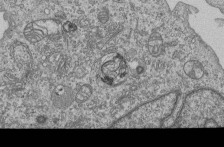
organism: Human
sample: MDA-MB-231 cells